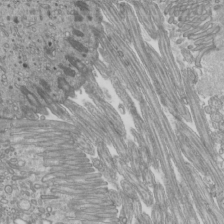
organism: Mouse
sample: Cilia; mouse epididymis